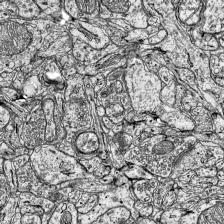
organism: Mouse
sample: Visual Cortex